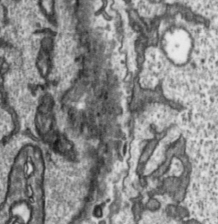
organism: Toxoplasma gondii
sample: Parasites in a vacuole inside a host cell